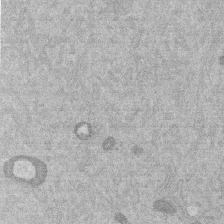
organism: Mouse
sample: Dividing mouse embryo 1 cell stage